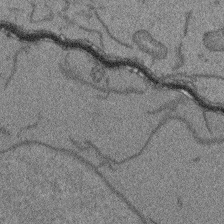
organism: Arabidopsis thaliana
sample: Root tip